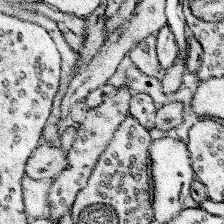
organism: Mouse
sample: Somatosensory cortex neuropil